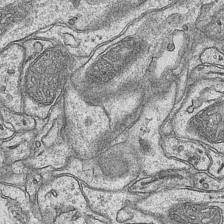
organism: Mouse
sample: CA1 Hippocampus